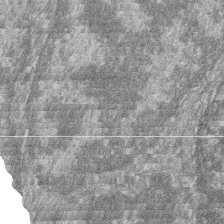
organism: Zebrafish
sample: Cilia; retinal pigment epithelium